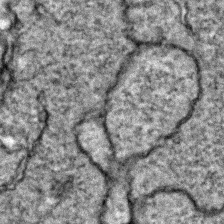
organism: Zebrafish